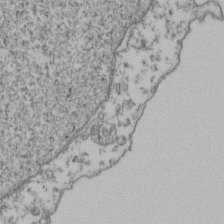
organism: Human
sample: Activated Jurkat CD4+ T cells